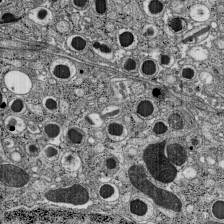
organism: C57BL Mouse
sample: Pancreatic islet